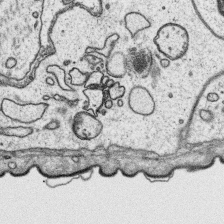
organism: Platynereis dumerilii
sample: Parapodia